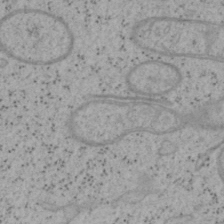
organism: Human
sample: HeLa cells